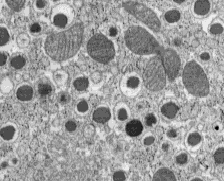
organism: C57BL Mouse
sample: Pancreatic islet